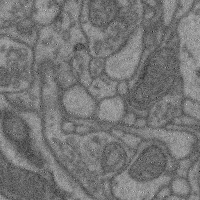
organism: Mouse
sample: Cerebral cortex